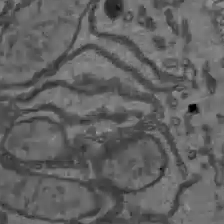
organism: C57BL Mouse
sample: Liver